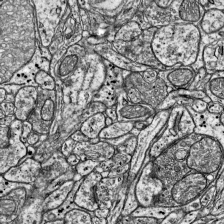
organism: Mouse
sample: Visual Cortex